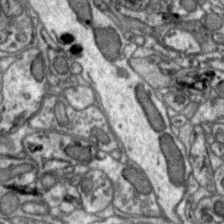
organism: Zebra finch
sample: Brain